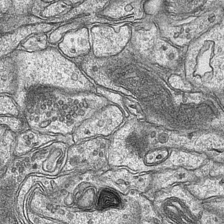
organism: Mouse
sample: CA1 Hippocampus